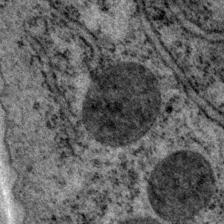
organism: P. pacificus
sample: Pharynx